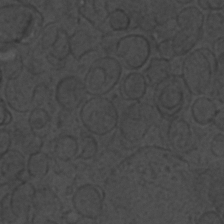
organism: C. elegans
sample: C. elegans embryo